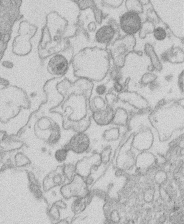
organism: Human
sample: Macrophage cells